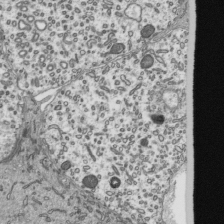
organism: Mouse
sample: Mouse epididymis efferent ductule cilia